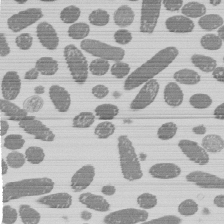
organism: E. coli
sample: Bacterial nucleoid